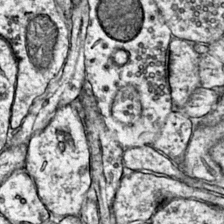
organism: Mouse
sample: Primary visual cortex